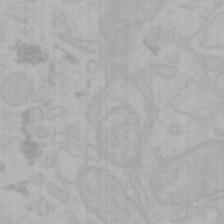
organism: Mouse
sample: Choroid plexus